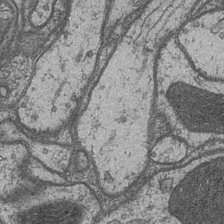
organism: Drosophila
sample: Optic medulla